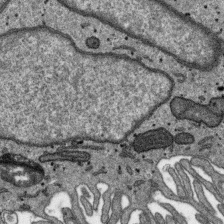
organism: Human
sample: Lung epithelial cells, uninfected (mock) control